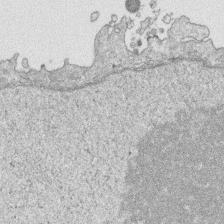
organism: Human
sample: HeLa cell HIV synapse